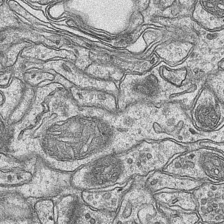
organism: Mouse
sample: CA1 Hippocampus